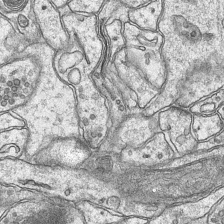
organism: Mouse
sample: CA1 Hippocampus